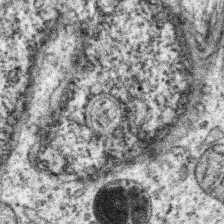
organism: Human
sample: HeLa cells